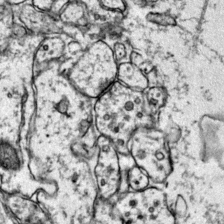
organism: Mouse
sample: Primary visual cortex